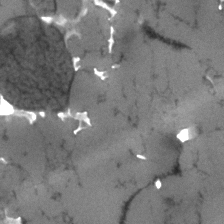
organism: Human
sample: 1205lu cells